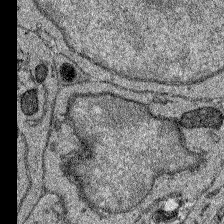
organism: Zebrafish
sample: Larval olfactory bulb